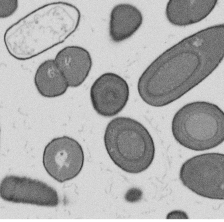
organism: B. subtilis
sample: Bacterial spore